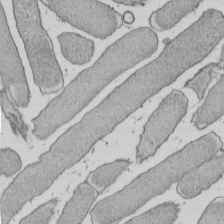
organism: E. coli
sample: Bacterial nucleoid